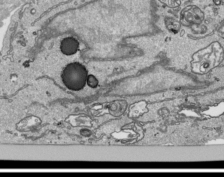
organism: Human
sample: Mitochondria in HCT116 cells